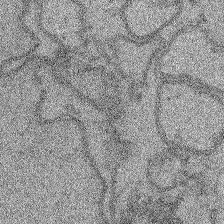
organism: Human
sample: HeLa cells